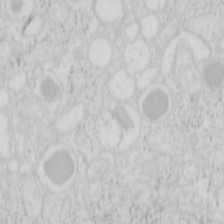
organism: Mouse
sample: Pancreas